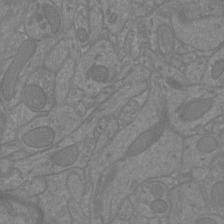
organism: Mouse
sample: Cortical neurons